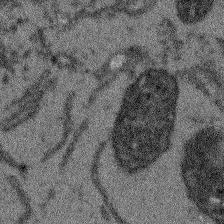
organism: Arabidopsis thaliana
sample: Root tip